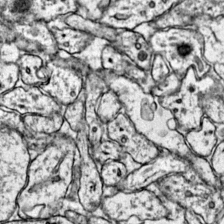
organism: Mouse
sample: Primary visual cortex